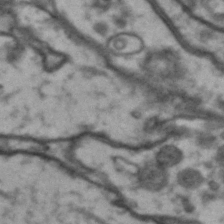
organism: Drosophila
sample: Brain